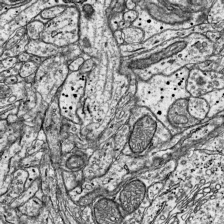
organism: Mouse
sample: Visual Cortex